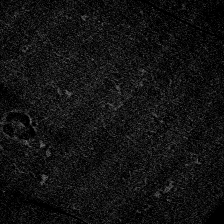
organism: Zebrafish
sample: Whole-Brain